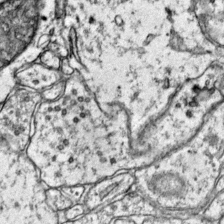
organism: Mouse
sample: Primary visual cortex